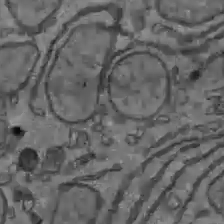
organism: C57BL Mouse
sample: Liver